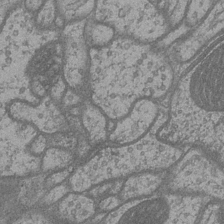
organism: Drosophila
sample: Optic medulla